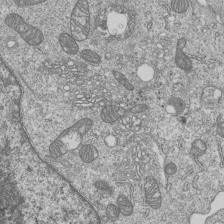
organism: Human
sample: MDA-MB-231 cells